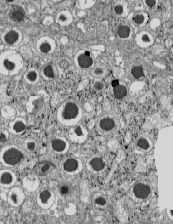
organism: C57BL Mouse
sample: Pancreatic islet